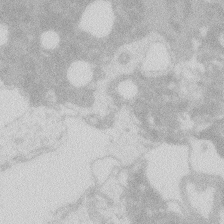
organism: Zebrafish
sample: Macrophage